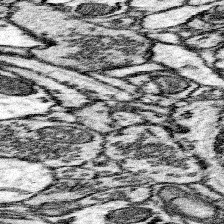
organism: Mouse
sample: Somatosensory cortex neuropil